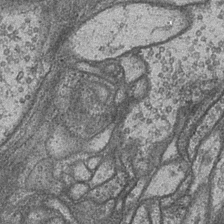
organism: Drosophila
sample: Optic medulla